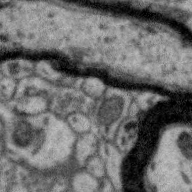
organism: Zebra finch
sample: Brain